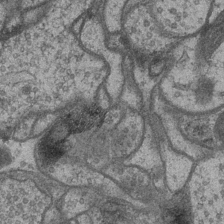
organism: Drosophila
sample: Optic medulla